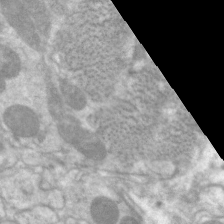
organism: C. elegans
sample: Pharynx